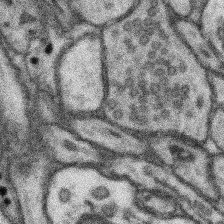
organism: Mouse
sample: Somatosensory cortex neuropil